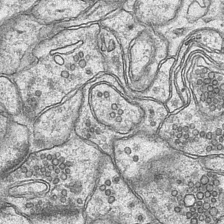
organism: Mouse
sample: CA1 Hippocampus